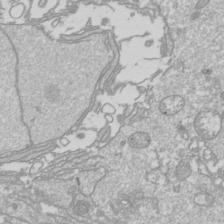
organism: Drosophila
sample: Cell division; meiosis; drosophila spermatocytes